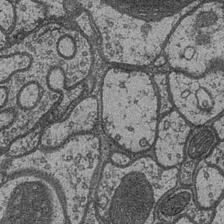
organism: Drosophila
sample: Optic medulla